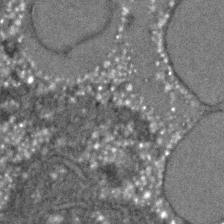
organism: C. elegans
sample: C. elegans embryo